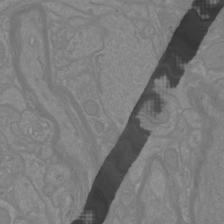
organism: Mouse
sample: Cortical neurons